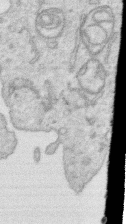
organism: Human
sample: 1205lu cells